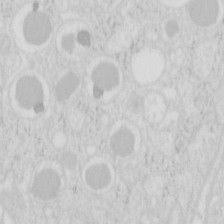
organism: Mouse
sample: Pancreas